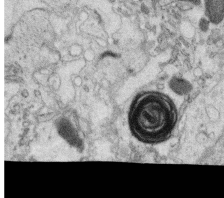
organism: C. elegans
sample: C. elegans oocyte; sperm cells